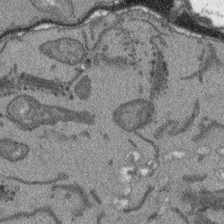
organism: Arabidopsis thaliana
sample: Root tip